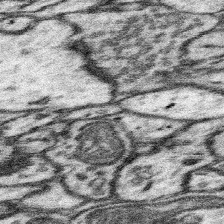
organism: Mouse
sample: Somatosensory cortex neuropil